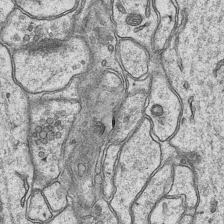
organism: Mouse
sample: CA1 Hippocampus